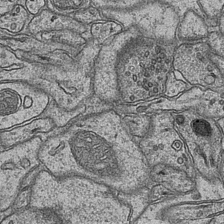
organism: Mouse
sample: CA1 Hippocampus